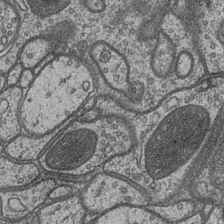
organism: Drosophila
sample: Optic medulla